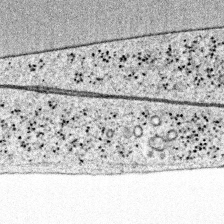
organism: Human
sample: HeLa cells